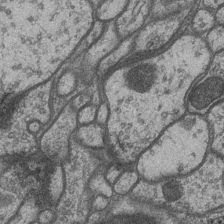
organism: Drosophila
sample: Optic medulla